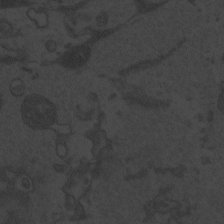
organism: Zebrafish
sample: Macrophage infected with Toxoplasma gondii